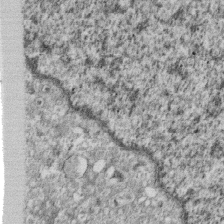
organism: African green monkey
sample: Vero E6 cells infected with SARS-CoV-2